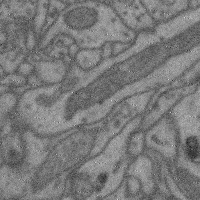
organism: Mouse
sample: Cerebral cortex